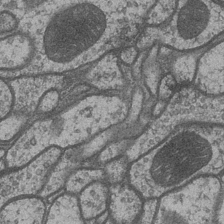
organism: Drosophila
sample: Optic medulla